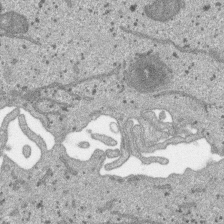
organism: Human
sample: Lung epithelial cells infected with SARS-CoV-2